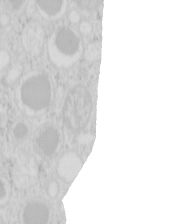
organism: Mouse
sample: Pancreas